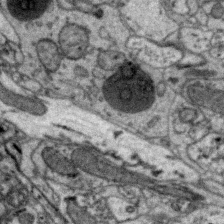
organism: Zebra finch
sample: Brain